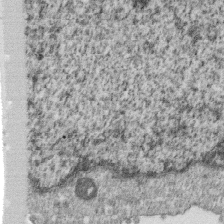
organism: African green monkey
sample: Vero E6 cells infected with SARS-CoV-2